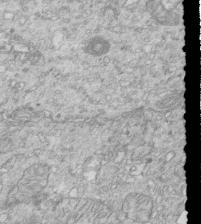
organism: Mouse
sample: Multiciliated cells